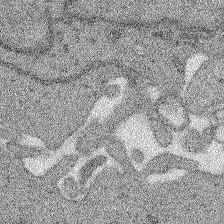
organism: Human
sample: HeLa cells